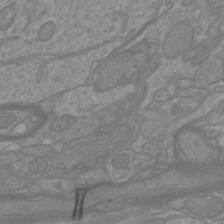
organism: Mouse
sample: Cortical neurons